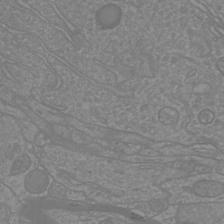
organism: Mouse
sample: Cortical neurons